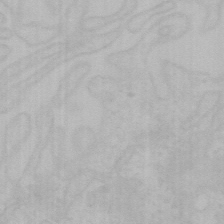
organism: Mouse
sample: Choroid plexus